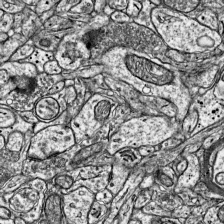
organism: Mouse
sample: Visual Cortex